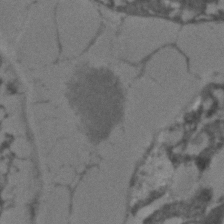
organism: C. elegans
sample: C. elegans embryo